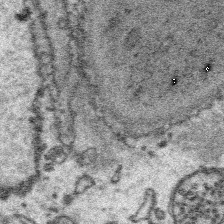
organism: Platynereis dumerilii